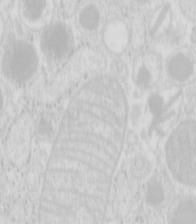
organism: Mouse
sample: Pancreas